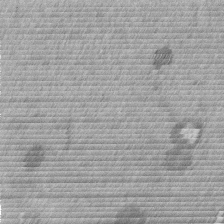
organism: Mouse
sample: Dividing mouse embryo 1 cell stage